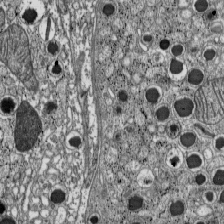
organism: C57BL Mouse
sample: Pancreatic islet